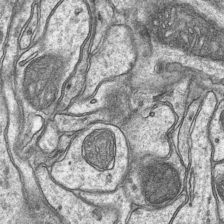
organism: Mouse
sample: CA1 Hippocampus